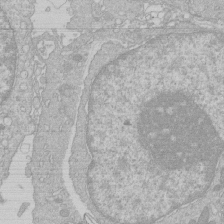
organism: Human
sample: Macrophage cells